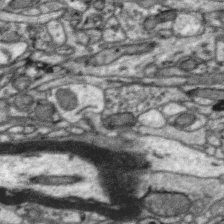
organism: Zebra finch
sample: Brain